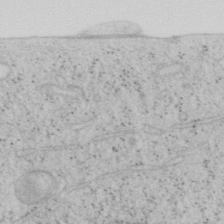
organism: Human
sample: HeLa cells